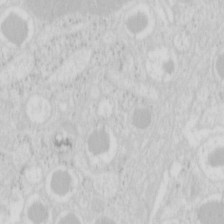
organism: Mouse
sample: Pancreas